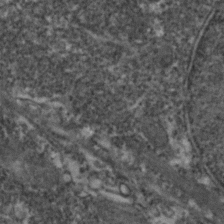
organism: Zebrafish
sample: Zebrafish embryo